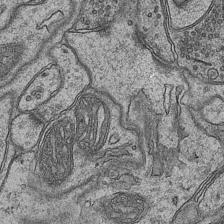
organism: Mouse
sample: CA1 Hippocampus